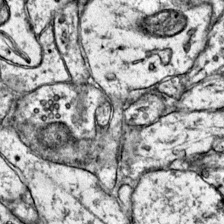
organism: Mouse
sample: Primary visual cortex